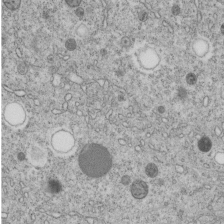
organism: C. elegans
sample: C. elegans embryo early stage